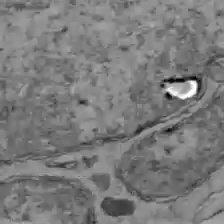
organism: C57BL Mouse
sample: Liver